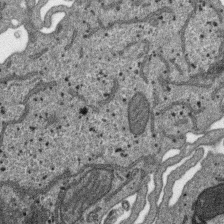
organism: Human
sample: Lung epithelial cells infected with SARS-CoV-2